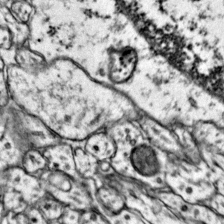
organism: Mouse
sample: Primary visual cortex